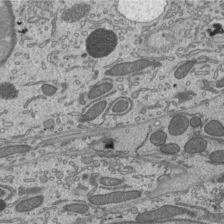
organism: Mouse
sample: Mouse epididymis efferent ductule cilia